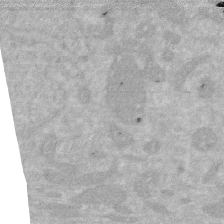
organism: Human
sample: HIV infected U937 cells